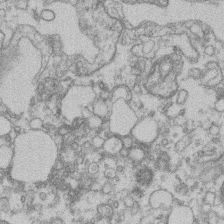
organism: Mouse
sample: T cell stromal cell synapse